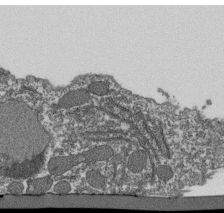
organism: Dictyostelium discoideum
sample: Dictyostelium multivesicular bodies